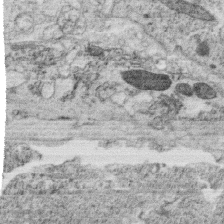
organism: C. elegans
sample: C. elegans oocyte; sperm cells